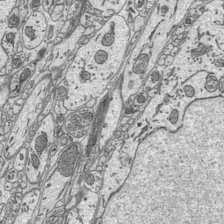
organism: Mouse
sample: Suprachiasmatic nucleus